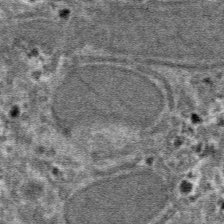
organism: Mouse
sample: Mouse hepatocytes